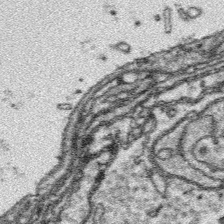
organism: Platynereis dumerilii